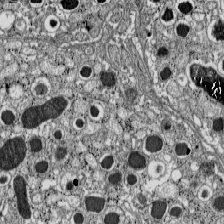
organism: C57BL Mouse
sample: Pancreatic islet